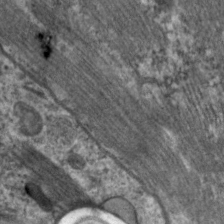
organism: C. elegans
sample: Pharynx